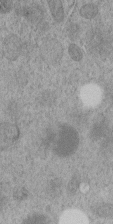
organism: C. elegans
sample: C. elegans embryo early stage